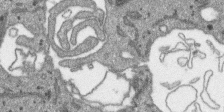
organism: Human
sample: Lung epithelial cells infected with SARS-CoV-2